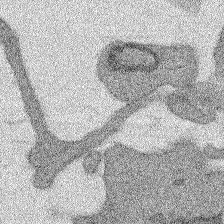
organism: Human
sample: HeLa cells